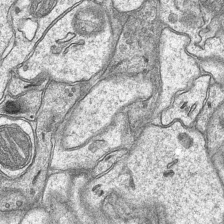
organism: Mouse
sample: CA1 Hippocampus